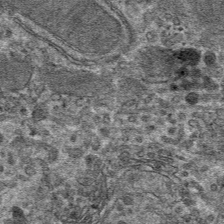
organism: Mouse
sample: Mouse hepatocytes